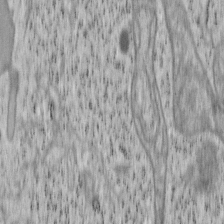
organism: Human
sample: HeLa cells